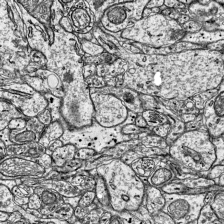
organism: Mouse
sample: Visual Cortex